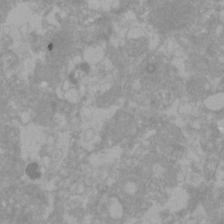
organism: Zebrafish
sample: Zebrafish embryo